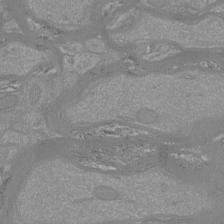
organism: Mouse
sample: Cortical neurons